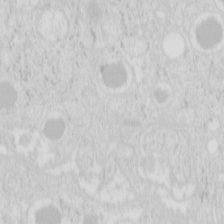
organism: Mouse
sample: Pancreas